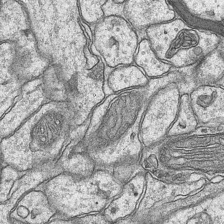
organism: Mouse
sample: CA1 Hippocampus